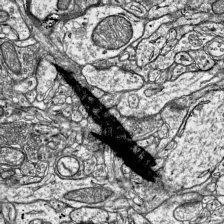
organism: Mouse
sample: Visual Cortex